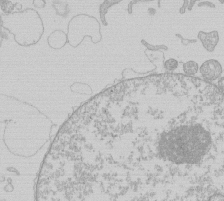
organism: Human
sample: Macrophage cells